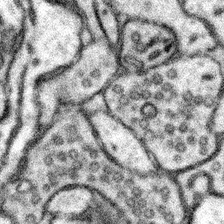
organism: Mouse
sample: Somatosensory cortex neuropil